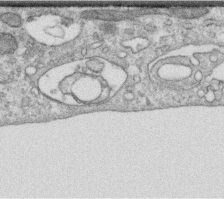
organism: Human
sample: Centriole in RPE cells